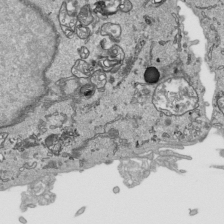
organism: Human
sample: Mitochondria in HCT116 cells